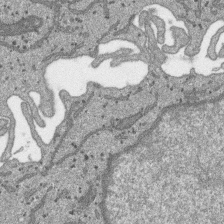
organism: Human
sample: Lung epithelial cells infected with SARS-CoV-2